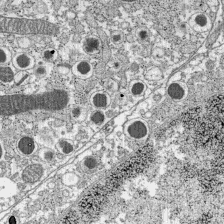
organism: C57BL Mouse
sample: Pancreatic islet